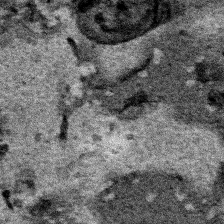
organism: Human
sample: Mitochondria in HCT116 cells